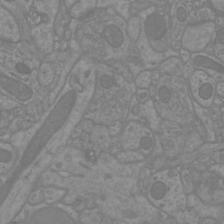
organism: Mouse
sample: Cortical neurons